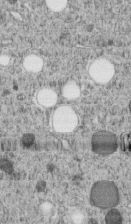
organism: C. elegans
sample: C. elegans embryo early stage